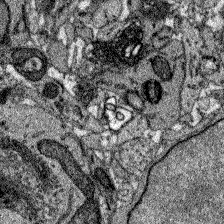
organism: Zebrafish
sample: Larval olfactory bulb